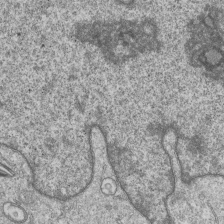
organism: Human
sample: MDA-MB-231 cells